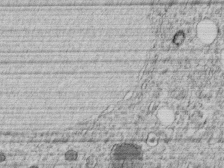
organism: C. elegans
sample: C. elegans embryo early stage